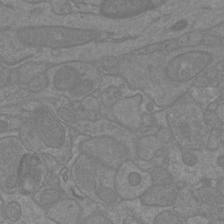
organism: Mouse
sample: Cortical neurons